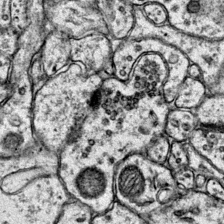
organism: Mouse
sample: Primary visual cortex